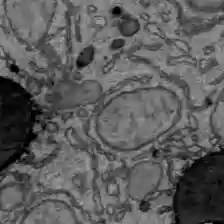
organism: C57BL Mouse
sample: Liver